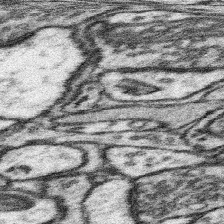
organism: Mouse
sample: Somatosensory cortex neuropil